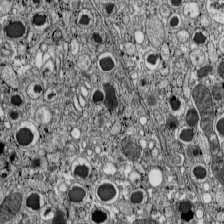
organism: C57BL Mouse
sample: Pancreatic islet